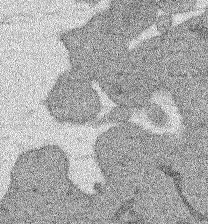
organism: Human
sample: HeLa cells